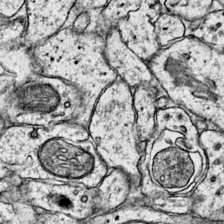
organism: Mouse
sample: Primary visual cortex